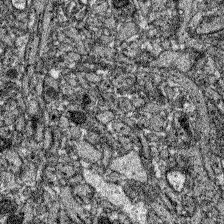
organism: Zebrafish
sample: Larval olfactory bulb